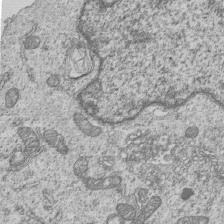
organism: Human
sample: MDA-MB-231 cells